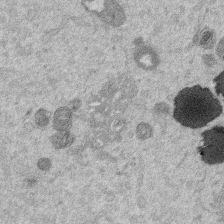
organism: Mouse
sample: Dividing mouse embryo 1 cell stage